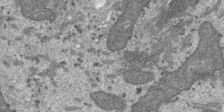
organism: Human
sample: Lung epithelial cells infected with SARS-CoV-2